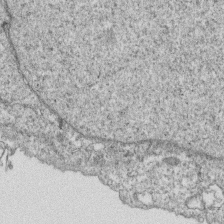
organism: Human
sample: HeLa cell HIV synapse